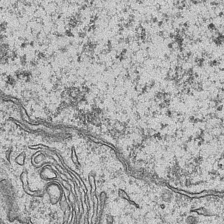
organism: Mouse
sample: CA1 Hippocampus